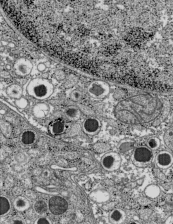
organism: C57BL Mouse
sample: Pancreatic islet